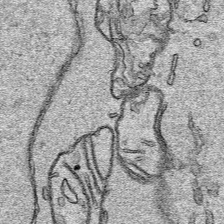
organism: Human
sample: Mitochondria in HCT116 cells